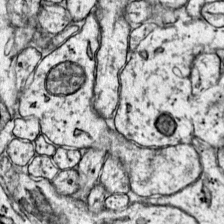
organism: Mouse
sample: Primary visual cortex